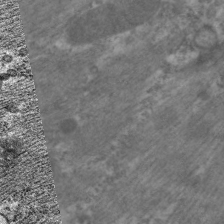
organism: C. elegans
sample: Pharynx